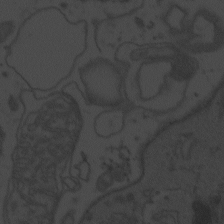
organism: Zebrafish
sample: Macrophage infected with Toxoplasma gondii